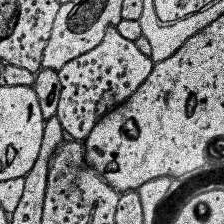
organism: Human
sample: Temporal Lobe